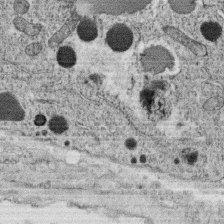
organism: C. elegans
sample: C. elegans oocyte; sperm cells